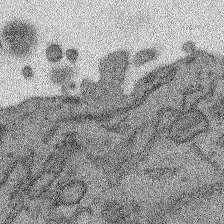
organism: Human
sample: HeLa cells